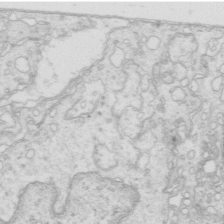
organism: Mouse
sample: Multiciliated cells